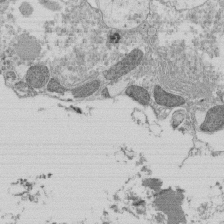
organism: Tetrahymena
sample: Cilia in tetrahymena